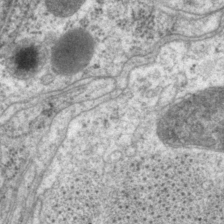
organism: P. pacificus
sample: Pharynx